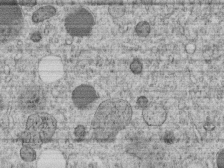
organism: C. elegans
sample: C. elegans embryo early stage